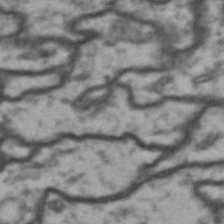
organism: Drosophila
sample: Brain